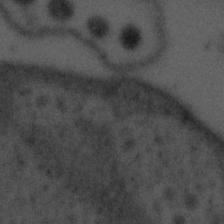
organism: Tuwongella immobilis